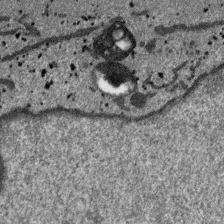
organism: Human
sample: Lung epithelial cells, uninfected (mock) control